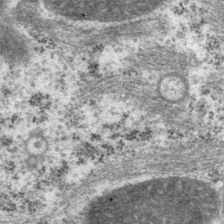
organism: P. pacificus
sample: Pharynx